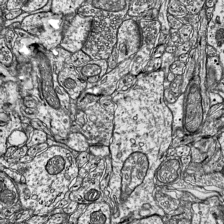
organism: Mouse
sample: Visual Cortex